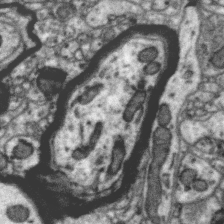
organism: Zebra finch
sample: Brain